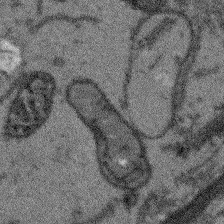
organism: Arabidopsis thaliana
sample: Root tip